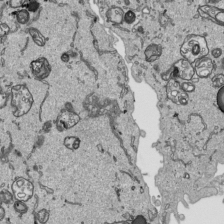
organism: Human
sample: Mitochondria in HCT116 cells